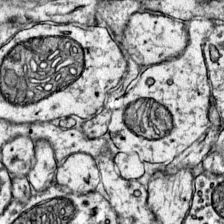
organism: Mouse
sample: Primary visual cortex